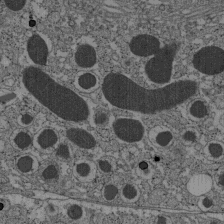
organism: C57BL Mouse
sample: Pancreatic islet